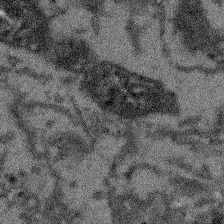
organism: Arabidopsis thaliana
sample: Root tip